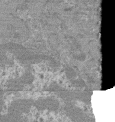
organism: Mouse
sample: Glomerulus